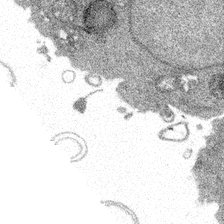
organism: Spongilla lacustris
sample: Multiple